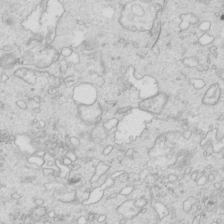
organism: Mouse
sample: Multiciliated cells